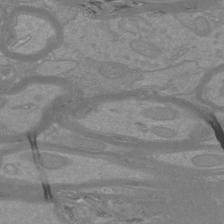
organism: Mouse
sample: Cortical neurons